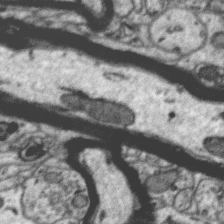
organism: Zebra finch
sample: Brain